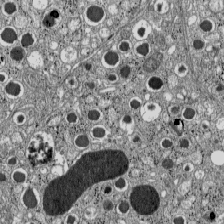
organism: C57BL Mouse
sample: Pancreatic islet